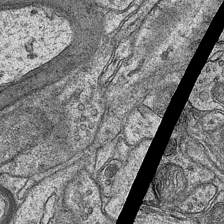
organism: Mouse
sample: CA1 Hippocampus